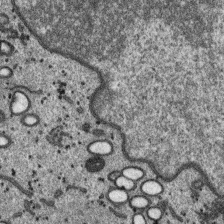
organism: Human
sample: Lung epithelial cells infected with SARS-CoV-2